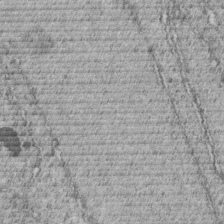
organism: C. elegans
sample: C. elegans embryo early stage